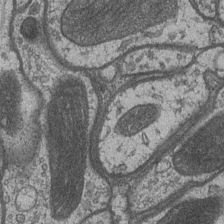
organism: Drosophila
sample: Optic medulla